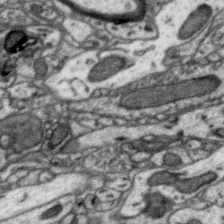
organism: Zebra finch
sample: Brain